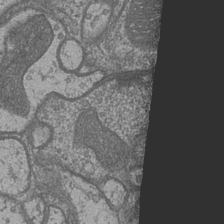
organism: Drosophila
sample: Optic medulla